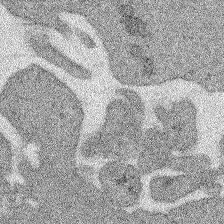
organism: Human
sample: HeLa cells